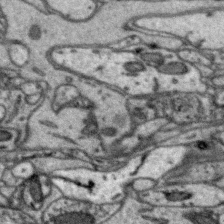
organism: Zebra finch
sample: Brain